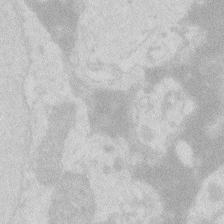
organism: Zebrafish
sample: Macrophage